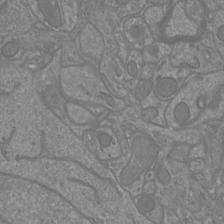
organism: Mouse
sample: Cortical neurons